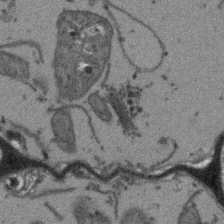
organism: Arabidopsis thaliana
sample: Root tip